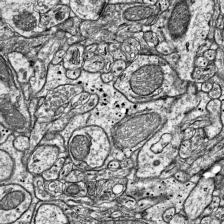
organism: Mouse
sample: Visual Cortex